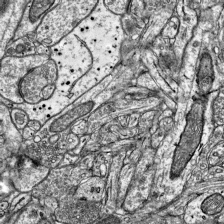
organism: Mouse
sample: Visual Cortex